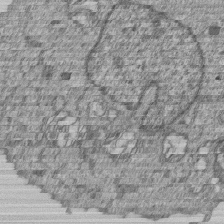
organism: Human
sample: MDA-MB-231 cells